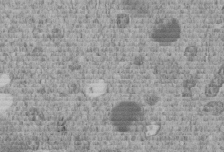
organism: C. elegans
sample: C. elegans embryo early stage